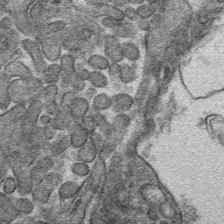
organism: Mouse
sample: Mouse hepatocytes